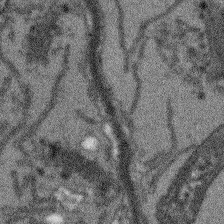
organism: Arabidopsis thaliana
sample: Root tip